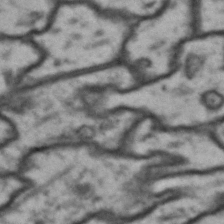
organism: Drosophila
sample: Brain